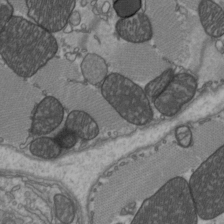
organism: C57BL Mouse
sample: Heart